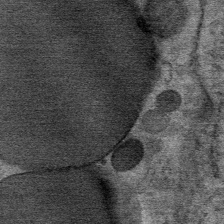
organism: Mouse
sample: Mouse Salivary gland